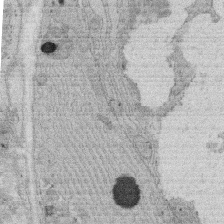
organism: Rat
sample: Salivary granule